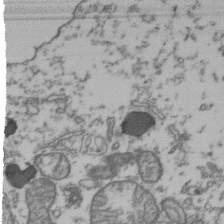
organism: Human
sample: Activated Jurkat CD4+ T cells